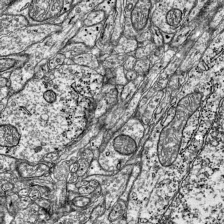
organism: Mouse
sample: Visual Cortex